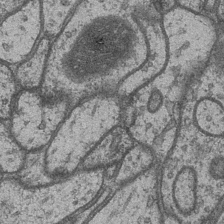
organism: Drosophila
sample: Optic medulla